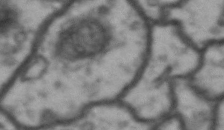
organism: Drosophila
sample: Brain